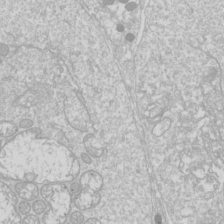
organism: Drosophila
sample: Cell division; meiosis; drosophila spermatocytes